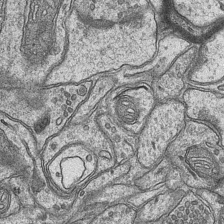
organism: Mouse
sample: CA1 Hippocampus